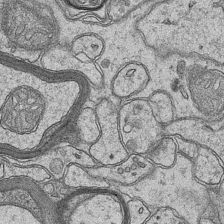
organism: Mouse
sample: CA1 Hippocampus